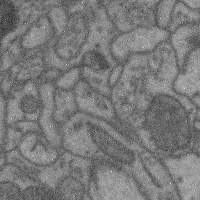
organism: Mouse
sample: Cerebral cortex